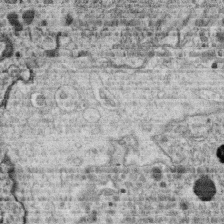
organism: C. elegans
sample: C. elegans oocyte; sperm cells